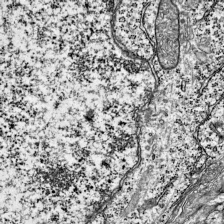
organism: Mouse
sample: Visual Cortex